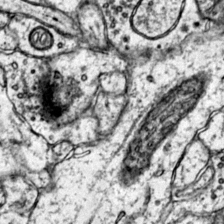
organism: Mouse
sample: Primary visual cortex